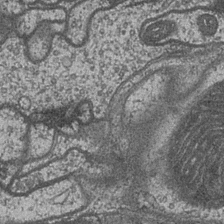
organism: Drosophila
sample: Optic medulla